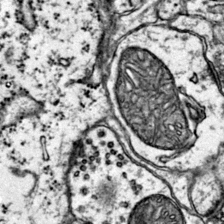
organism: Mouse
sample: Primary visual cortex